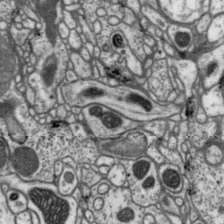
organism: Drosophila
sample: Protocerebral bridge